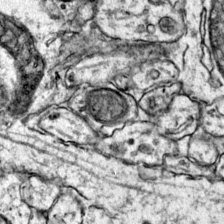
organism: Mouse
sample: Primary visual cortex